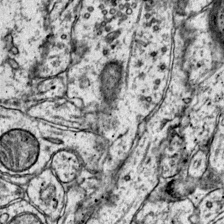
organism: Mouse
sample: Primary visual cortex